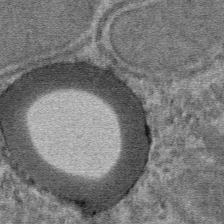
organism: Mouse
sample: Mouse hepatocytes